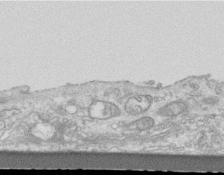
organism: Mouse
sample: Centriole in ependymal cells